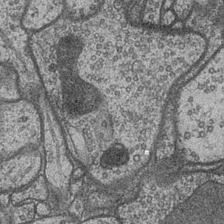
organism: Drosophila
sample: Optic medulla